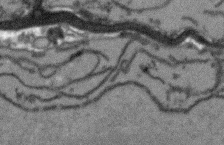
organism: Arabidopsis thaliana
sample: Root tip